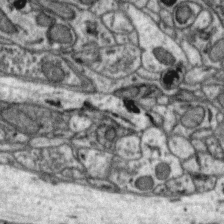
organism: Zebra finch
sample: Brain